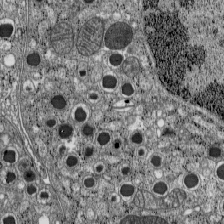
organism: C57BL Mouse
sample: Pancreatic islet